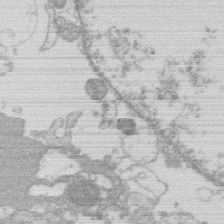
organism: Human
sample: Macrophage cells